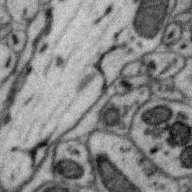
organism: Zebra finch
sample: Brain